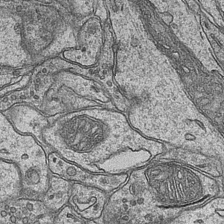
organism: Mouse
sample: CA1 Hippocampus